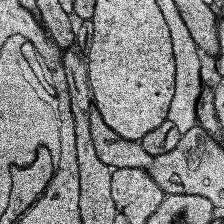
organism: Human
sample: Temporal Lobe